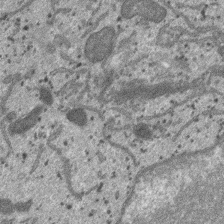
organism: Human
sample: Lung epithelial cells infected with SARS-CoV-2